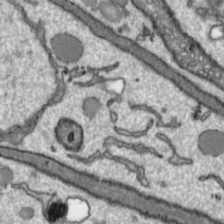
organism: Toxoplasma gondii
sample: Parasites in a vacuole inside a host cell